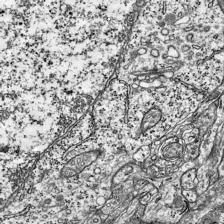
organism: Mouse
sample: Visual Cortex